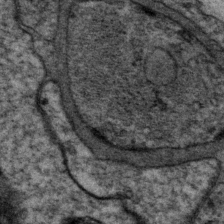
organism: P. pacificus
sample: Pharynx